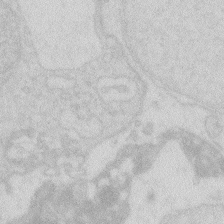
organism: Zebrafish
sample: Macrophage